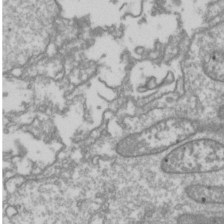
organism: Drosophila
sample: Cell division; meiosis; drosophila spermatocytes